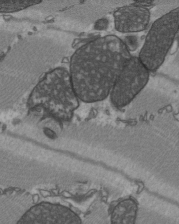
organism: C57BL Mouse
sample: Heart